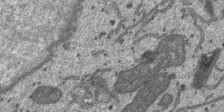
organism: Human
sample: Lung epithelial cells infected with SARS-CoV-2